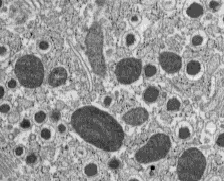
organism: C57BL Mouse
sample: Pancreatic islet